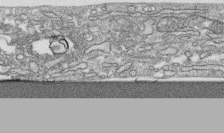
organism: Human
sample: CRL-1474